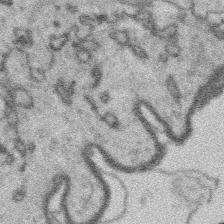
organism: Platynereis dumerilii